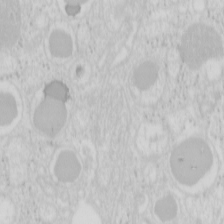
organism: Mouse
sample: Pancreas